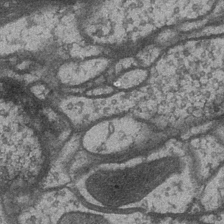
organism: Drosophila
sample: Optic medulla